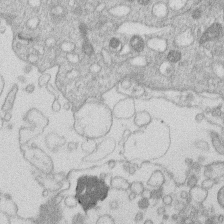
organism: Human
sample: Macrophage cells